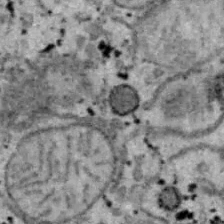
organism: Mouse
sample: Liver from an obese (ob/ob) mouse